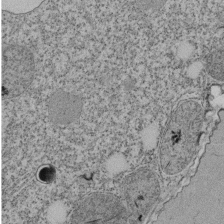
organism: Tetrahymena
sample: Cilia in tetrahymena